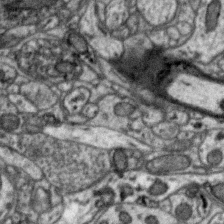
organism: Zebra finch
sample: Brain